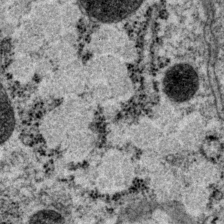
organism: P. pacificus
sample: Pharynx